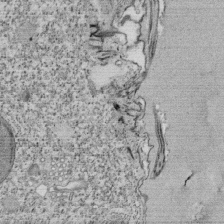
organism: Tetrahymena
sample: Cilia in tetrahymena